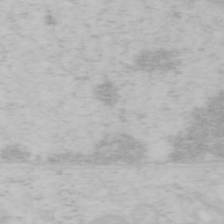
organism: Mouse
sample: OT-I killer T cells with ID8 ovarian cancer cells